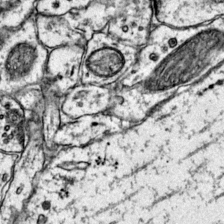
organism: Mouse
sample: Primary visual cortex